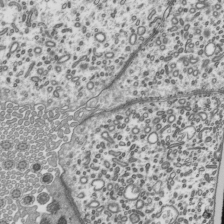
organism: Mouse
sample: Mouse epididymis efferent ductule cilia